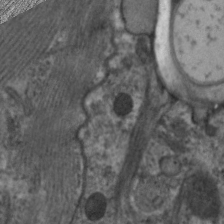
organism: C. elegans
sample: Pharynx